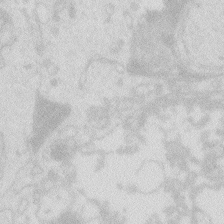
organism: Zebrafish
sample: Macrophage